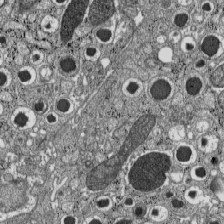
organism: C57BL Mouse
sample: Pancreatic islet